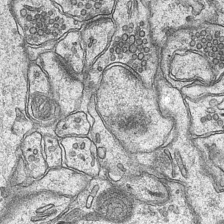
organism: Mouse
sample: CA1 Hippocampus